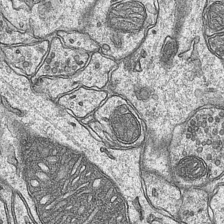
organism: Mouse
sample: CA1 Hippocampus